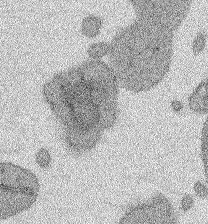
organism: Human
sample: HeLa cells